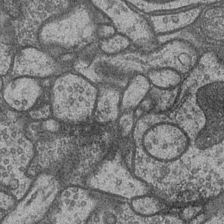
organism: Drosophila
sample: Optic medulla